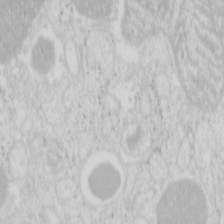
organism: Mouse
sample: Pancreas